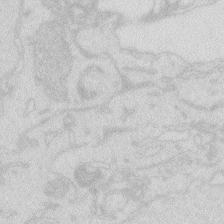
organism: Zebrafish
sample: Macrophage